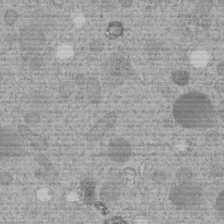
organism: C. elegans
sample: C. elegans embryo early stage